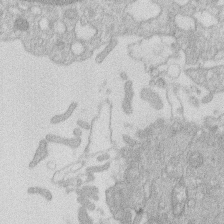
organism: Human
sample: Macrophage cells